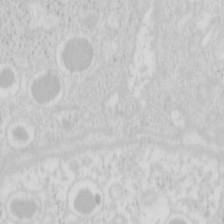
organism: Mouse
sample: Pancreas